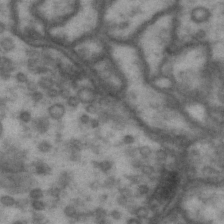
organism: Drosophila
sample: Brain